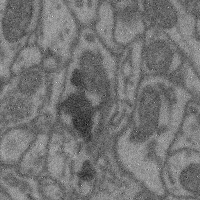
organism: Mouse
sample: Cerebral cortex